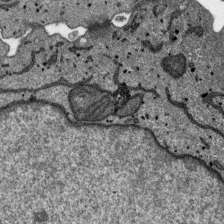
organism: Human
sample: Lung epithelial cells, uninfected (mock) control